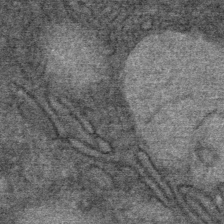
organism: Mouse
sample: Mouse Salivary gland